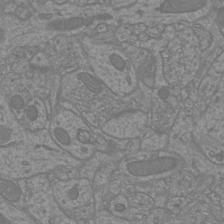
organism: Mouse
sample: Cortical neurons